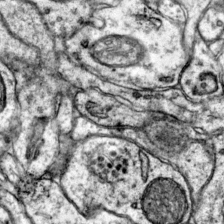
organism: Mouse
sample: Primary visual cortex